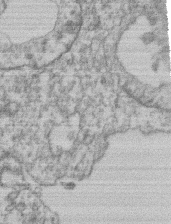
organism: Mouse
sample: T cell stromal cell synapse